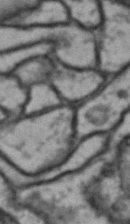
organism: Drosophila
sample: Brain